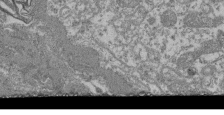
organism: Mouse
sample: Glomerulus